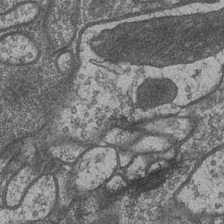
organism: Drosophila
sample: Optic medulla